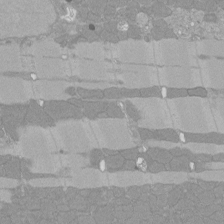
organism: Rat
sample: Left ventricle